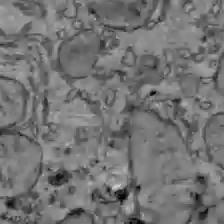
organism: C57BL Mouse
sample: Liver